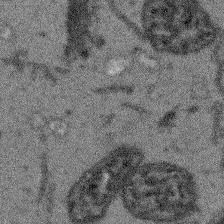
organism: Arabidopsis thaliana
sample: Root tip